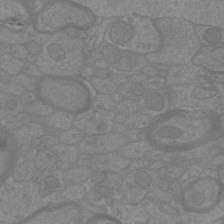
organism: Mouse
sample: Cortical neurons